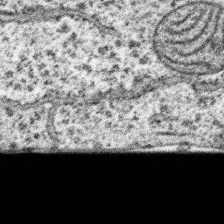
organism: Human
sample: HeLa cells